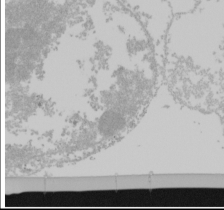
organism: Mouse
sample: Cancer cell death in ED-1 cells